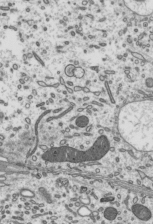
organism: Mouse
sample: Mouse epididymis efferent ductule cilia